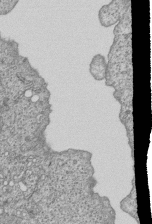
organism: Human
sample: MDA-MB-231 cells